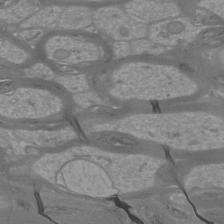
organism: Mouse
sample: Cortical neurons